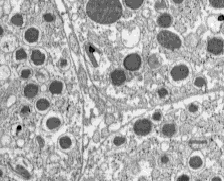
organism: C57BL Mouse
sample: Pancreatic islet